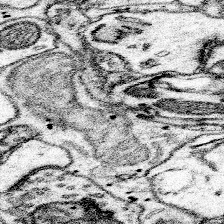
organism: Mouse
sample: Somatosensory cortex neuropil